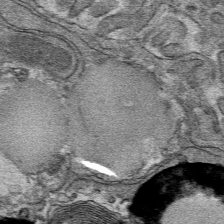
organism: Mouse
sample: Mouse hepatocytes